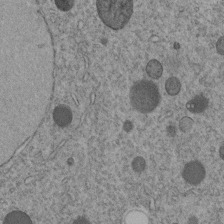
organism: C. elegans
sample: C. elegans embryo early stage